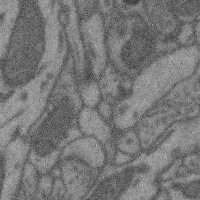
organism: Mouse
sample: Cerebral cortex